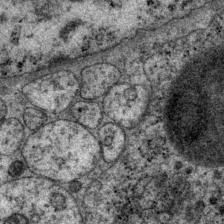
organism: P. pacificus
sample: Pharynx